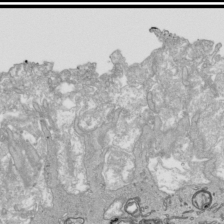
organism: Human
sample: Mitochondria in HCT116 cells